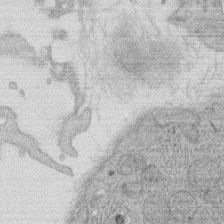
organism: Rat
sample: Salivary granule